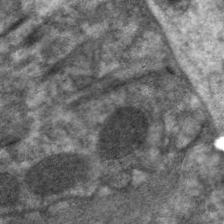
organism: C. elegans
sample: Pharynx